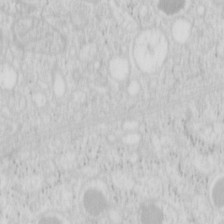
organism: Mouse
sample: Pancreas